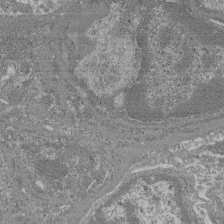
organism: Mouse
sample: Glomerulus